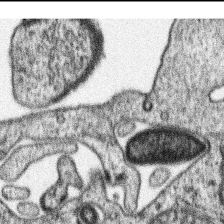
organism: Human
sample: HeLa cells